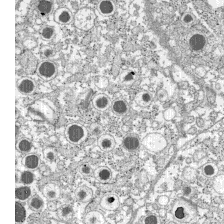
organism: C57BL Mouse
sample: Pancreatic islet